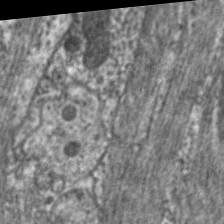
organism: C. elegans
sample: Pharynx